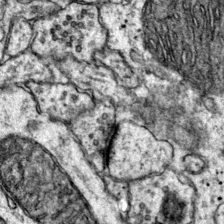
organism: Mouse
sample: Primary visual cortex